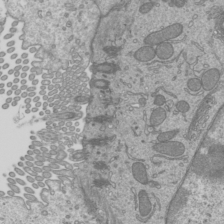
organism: Mouse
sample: Cilia; mouse epididymis